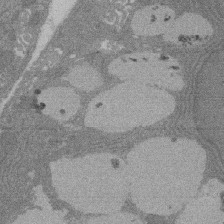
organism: Rat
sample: Salivary granule